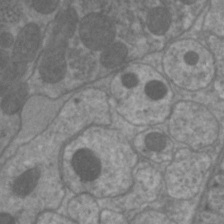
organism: C. elegans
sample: Pharynx